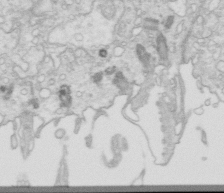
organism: Mouse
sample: Multiciliated cells